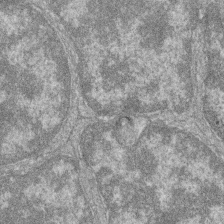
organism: Zebrafish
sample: Cilia; retinal pigment epithelium